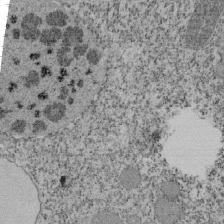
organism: Tetrahymena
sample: Cilia in tetrahymena